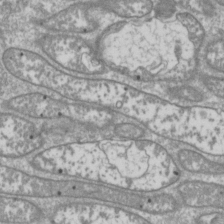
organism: Drosophila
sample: Cell division; meiosis; drosophila spermatocytes